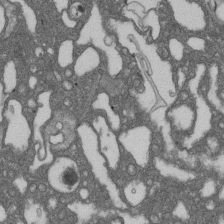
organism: Drosophila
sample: Nephrocyte